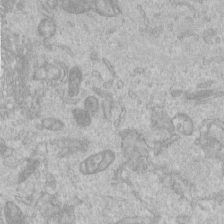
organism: Human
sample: Centriole in RPE cells